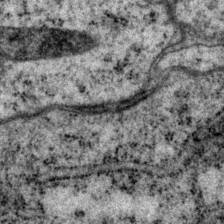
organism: P. pacificus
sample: Pharynx